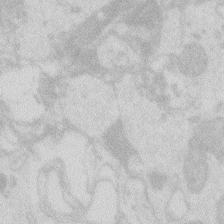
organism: Zebrafish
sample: Macrophage